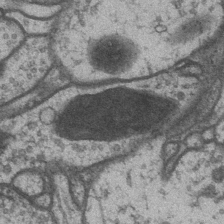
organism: Drosophila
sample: Optic medulla